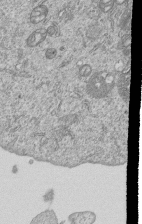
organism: Human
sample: MDA-MB-231 cells